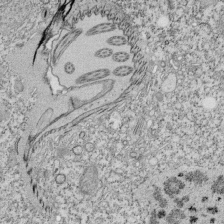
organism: Tetrahymena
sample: Cilia in tetrahymena